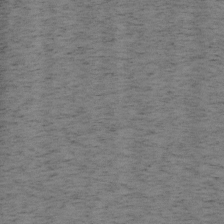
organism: Mouse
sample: OT-I killer T cells with ID8 ovarian cancer cells